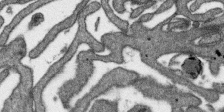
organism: Human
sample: Lung epithelial cells, uninfected (mock) control